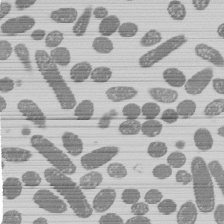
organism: E. coli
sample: Bacterial nucleoid